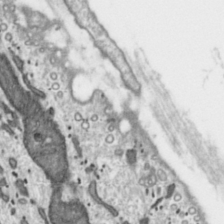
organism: Toxoplasma gondii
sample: Parasites in a vacuole inside a host cell